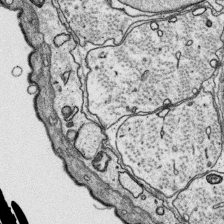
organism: Platynereis dumerilii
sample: Parapodia